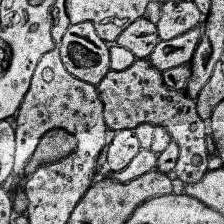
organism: Human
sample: Temporal Lobe